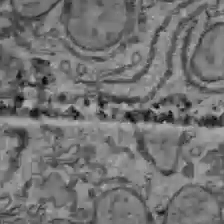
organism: C57BL Mouse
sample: Liver